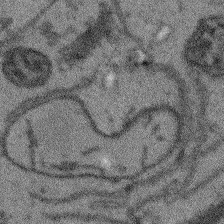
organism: Arabidopsis thaliana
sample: Root tip